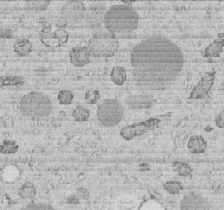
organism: C. elegans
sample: C. elegans embryo early stage